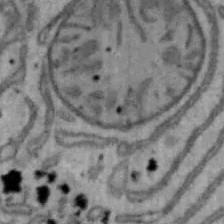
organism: Mouse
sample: Liver